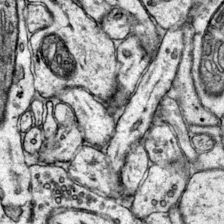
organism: Mouse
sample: Primary visual cortex